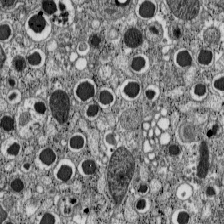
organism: C57BL Mouse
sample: Pancreatic islet